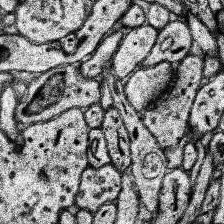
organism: Human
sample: Temporal Lobe